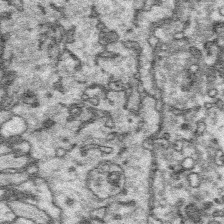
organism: Platynereis dumerilii